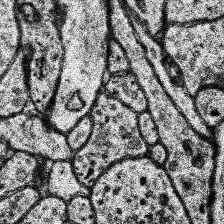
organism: Human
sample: Temporal Lobe